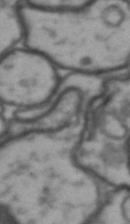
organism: Drosophila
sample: Brain